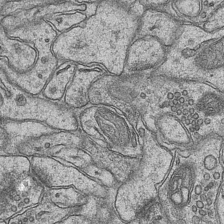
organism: Mouse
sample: CA1 Hippocampus